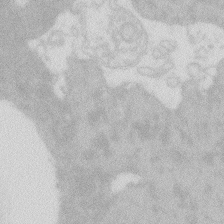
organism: Zebrafish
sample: Macrophage